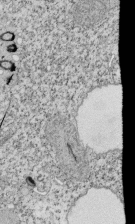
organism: Tetrahymena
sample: Cilia in tetrahymena